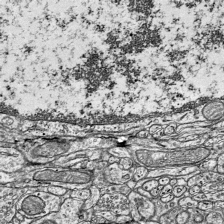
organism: Mouse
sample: Visual Cortex